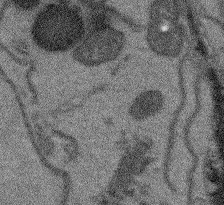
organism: Arabidopsis thaliana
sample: Root tip